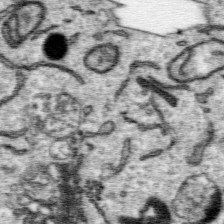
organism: Human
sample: HeLa cells